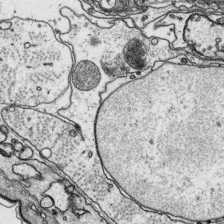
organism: Platynereis dumerilii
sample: Parapodia